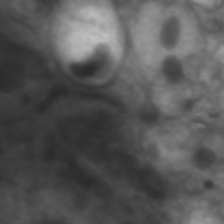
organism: C. elegans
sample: Pharynx